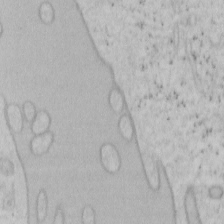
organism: Human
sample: HeLa cells